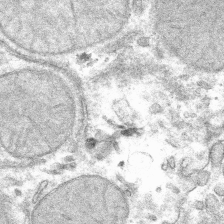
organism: Mouse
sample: Mouse hepatocytes